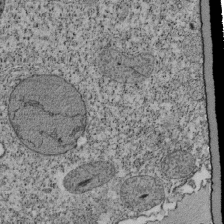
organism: Tetrahymena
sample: Cilia in tetrahymena